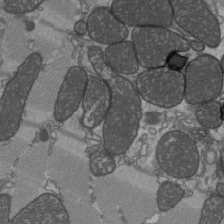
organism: C57BL Mouse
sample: Heart